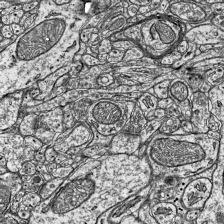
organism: Mouse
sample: Visual Cortex